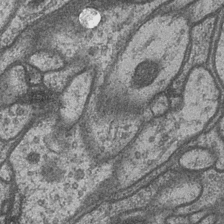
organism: Drosophila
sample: Optic medulla